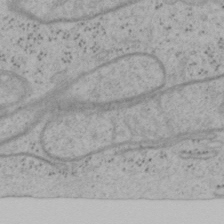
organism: Human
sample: HeLa cells